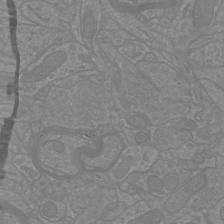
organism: Mouse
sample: Cortical neurons